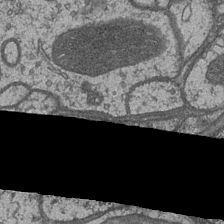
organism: Drosophila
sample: Optic medulla